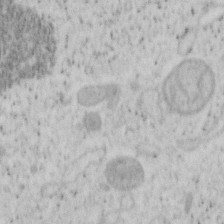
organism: Human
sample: HeLa cells